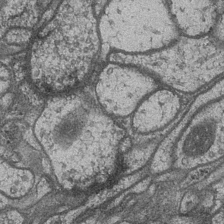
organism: Drosophila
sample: Optic medulla